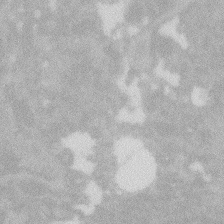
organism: Zebrafish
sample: Macrophage